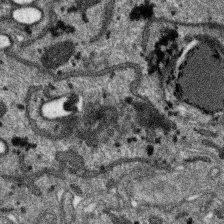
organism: Human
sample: Lung epithelial cells infected with SARS-CoV-2